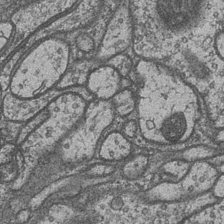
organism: Drosophila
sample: Optic medulla